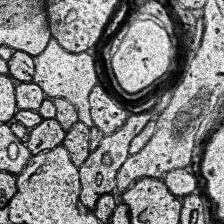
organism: Human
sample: Temporal Lobe